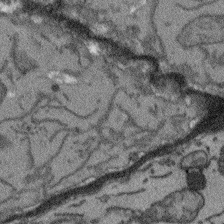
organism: Arabidopsis thaliana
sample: Root tip